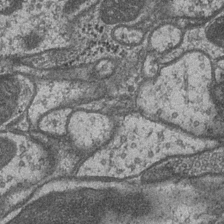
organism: Drosophila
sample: Optic medulla